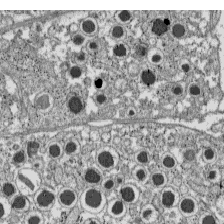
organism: C57BL Mouse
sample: Pancreatic islet